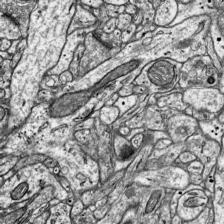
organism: Mouse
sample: Visual Cortex